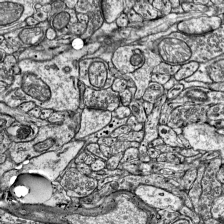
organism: Mouse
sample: Visual Cortex